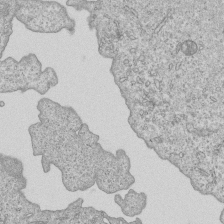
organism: Human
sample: MDA-MB-231 cells